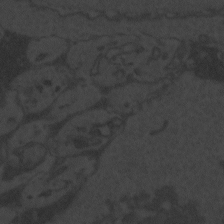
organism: Zebrafish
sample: Macrophage infected with Toxoplasma gondii